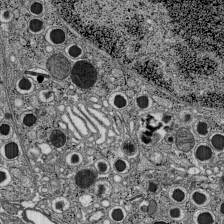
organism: C57BL Mouse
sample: Pancreatic islet